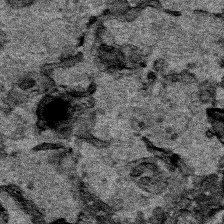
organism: Human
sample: Mitochondria in HCT116 cells